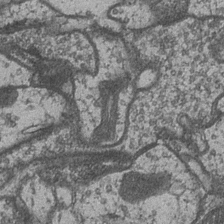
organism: Drosophila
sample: Optic medulla